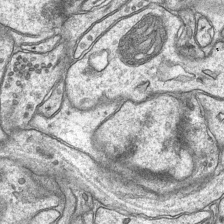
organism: Mouse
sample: CA1 Hippocampus